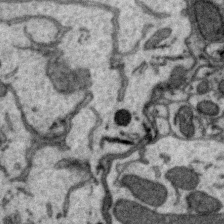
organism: Zebra finch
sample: Brain